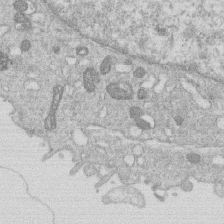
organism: Human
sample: Macrophage cells